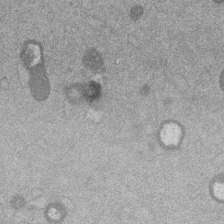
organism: Mouse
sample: Dividing mouse embryo 1 cell stage